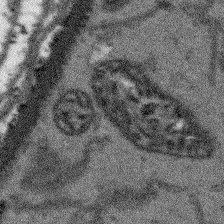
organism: Arabidopsis thaliana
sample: Root tip